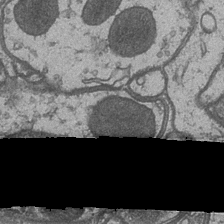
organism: Drosophila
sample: Optic medulla